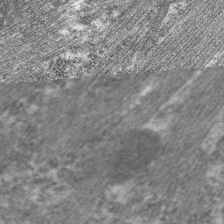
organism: C. elegans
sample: Pharynx